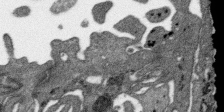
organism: Human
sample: Lung epithelial cells, uninfected (mock) control